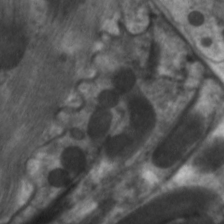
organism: C. elegans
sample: Pharynx